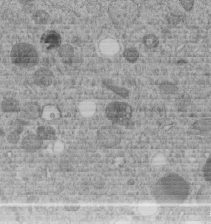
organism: C. elegans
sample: C. elegans embryo early stage